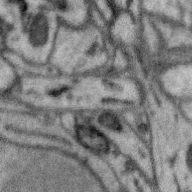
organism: Zebra finch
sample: Brain